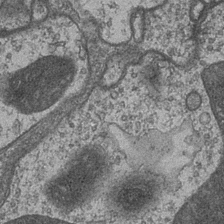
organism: Drosophila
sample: Optic medulla